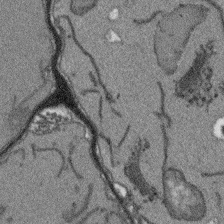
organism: Arabidopsis thaliana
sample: Root tip